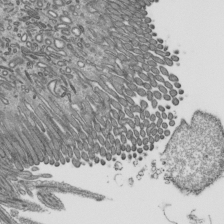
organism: Mouse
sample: Mouse epididymis efferent ductule cilia